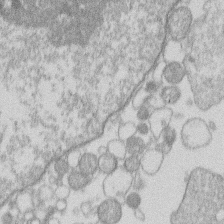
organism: Human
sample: Macrophage cells